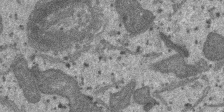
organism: Human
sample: Lung epithelial cells infected with SARS-CoV-2